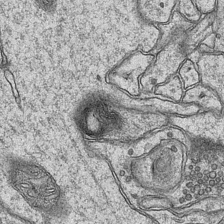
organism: Mouse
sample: CA1 Hippocampus